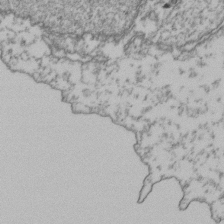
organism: Human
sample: Activated Jurkat CD4+ T cells